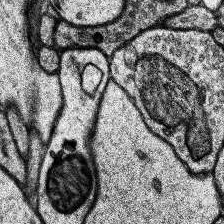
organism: Human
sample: Temporal Lobe